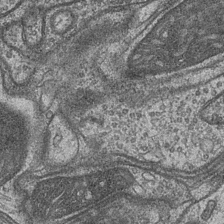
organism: Drosophila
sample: Optic medulla